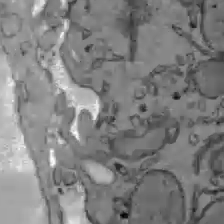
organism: C57BL Mouse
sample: Liver